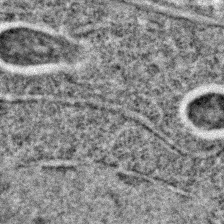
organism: C. elegans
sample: C. elegans embryo